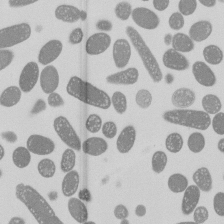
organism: E. coli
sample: Bacterial nucleoid